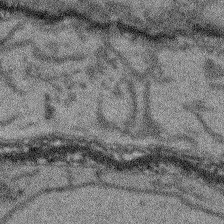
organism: Arabidopsis thaliana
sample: Root tip